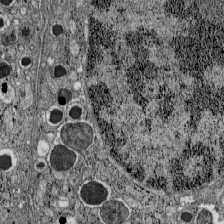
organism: C57BL Mouse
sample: Pancreatic islet